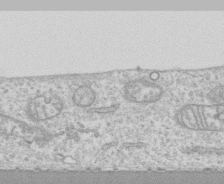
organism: Human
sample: CRL-1474